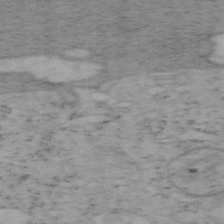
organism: Mouse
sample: OT-I killer T cells with ID8 ovarian cancer cells